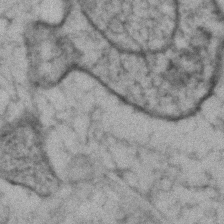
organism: Human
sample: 1205lu cells